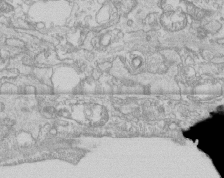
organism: Human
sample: CRL-1474